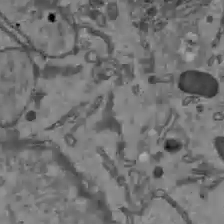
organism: C57BL Mouse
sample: Liver